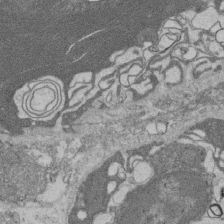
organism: Rat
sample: Salivary granule